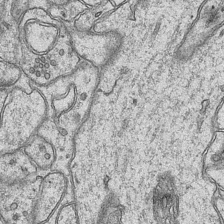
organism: Mouse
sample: CA1 Hippocampus